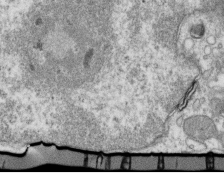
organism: Mouse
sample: Activated OT-1 CD8+ T cells